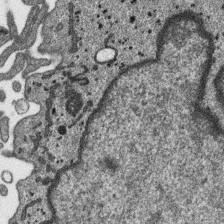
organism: Human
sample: Lung epithelial cells infected with SARS-CoV-2